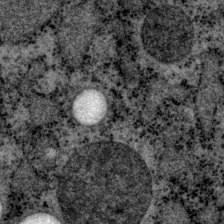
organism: P. pacificus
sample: Pharynx